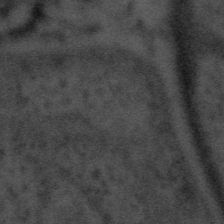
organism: Tuwongella immobilis